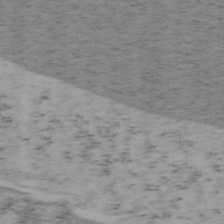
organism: Mouse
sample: OT-I killer T cells with ID8 ovarian cancer cells